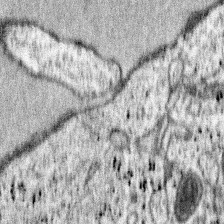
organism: Human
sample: HeLa cells